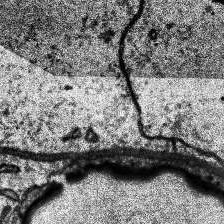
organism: Human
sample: Temporal Lobe